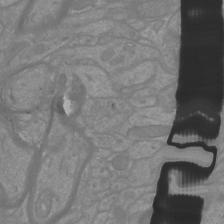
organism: Mouse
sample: Cortical neurons